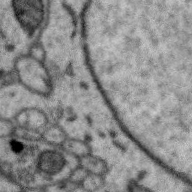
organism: Zebra finch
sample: Brain